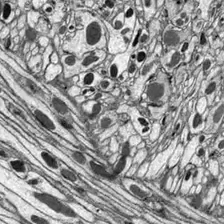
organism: Drosophila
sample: Optic lobe